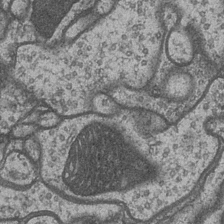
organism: Drosophila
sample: Optic medulla